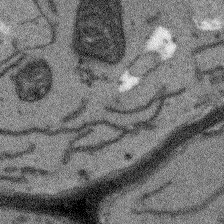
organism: Arabidopsis thaliana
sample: Root tip